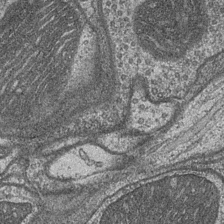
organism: Drosophila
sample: Optic medulla